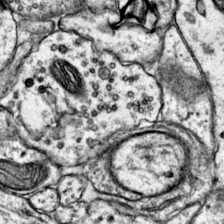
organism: Mouse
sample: Primary visual cortex